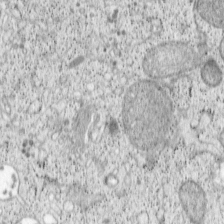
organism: African green monkey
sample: COS-7 cells